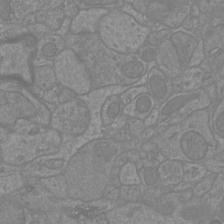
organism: Mouse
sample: Cortical neurons